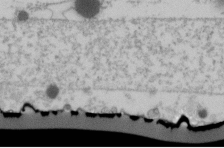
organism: Human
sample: U2-OS cells